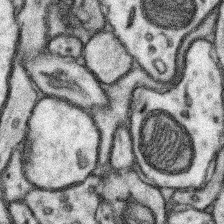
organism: Mouse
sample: Somatosensory cortex neuropil